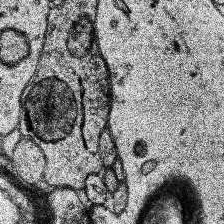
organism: Human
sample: Temporal Lobe